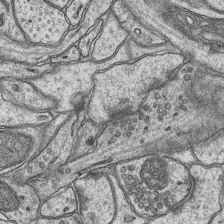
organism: Mouse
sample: CA1 Hippocampus